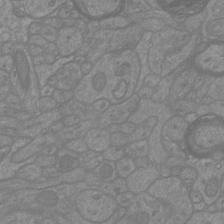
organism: Mouse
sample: Cortical neurons